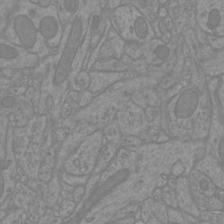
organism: Mouse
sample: Cortical neurons